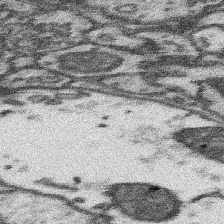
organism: Mouse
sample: Somatosensory cortex neuropil